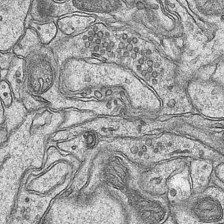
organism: Mouse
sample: CA1 Hippocampus